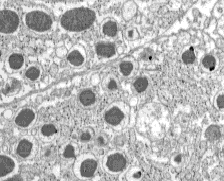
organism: C57BL Mouse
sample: Pancreatic islet